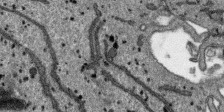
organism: Human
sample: Lung epithelial cells, uninfected (mock) control